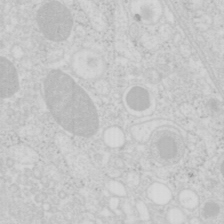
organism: Mouse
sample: Pancreas